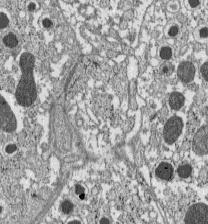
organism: C57BL Mouse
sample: Pancreatic islet